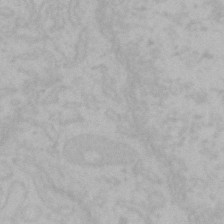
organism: Mouse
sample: Choroid plexus